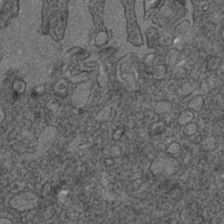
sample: Trachea